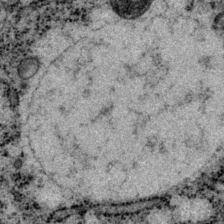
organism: P. pacificus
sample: Pharynx